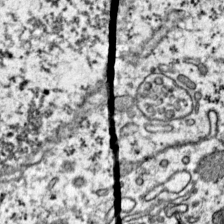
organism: Mouse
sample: Primary visual cortex